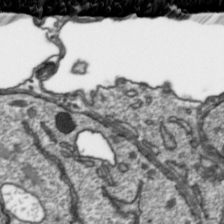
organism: Toxoplasma gondii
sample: Parasites in a vacuole inside a host cell